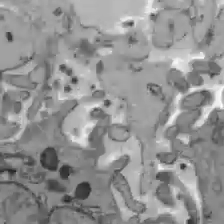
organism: C57BL Mouse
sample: Liver